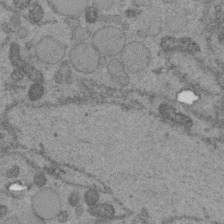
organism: C. elegans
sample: C. elegans embryo early stage